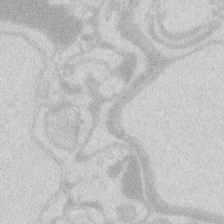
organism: Zebrafish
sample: Macrophage